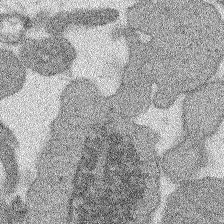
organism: Human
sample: HeLa cells